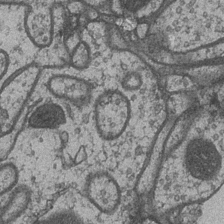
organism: Drosophila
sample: Optic medulla